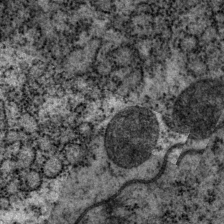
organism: P. pacificus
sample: Pharynx